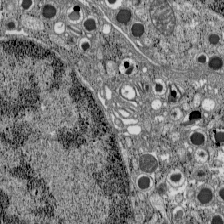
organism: C57BL Mouse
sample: Pancreatic islet